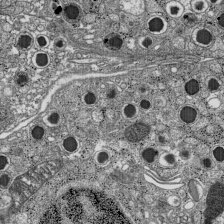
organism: C57BL Mouse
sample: Pancreatic islet